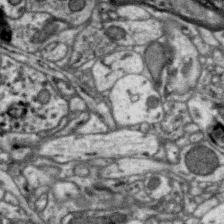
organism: Zebra finch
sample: Brain